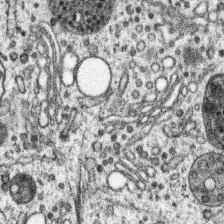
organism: Human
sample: HeLa cells